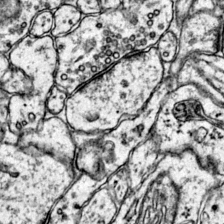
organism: Mouse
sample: Primary visual cortex